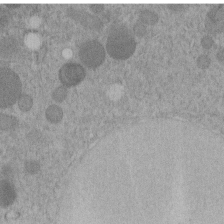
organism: C. elegans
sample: C. elegans embryo early stage